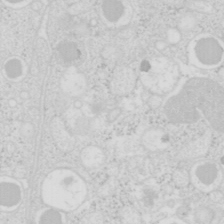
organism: Mouse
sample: Pancreas